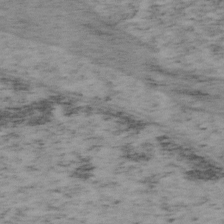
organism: Mouse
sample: OT-I killer T cells with ID8 ovarian cancer cells